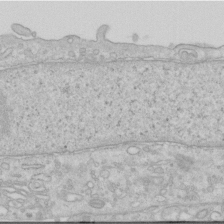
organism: Human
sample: Centriole in RPE cells